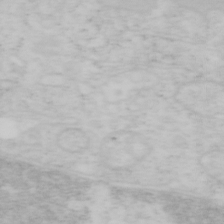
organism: Mouse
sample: OT-I killer T cells with ID8 ovarian cancer cells